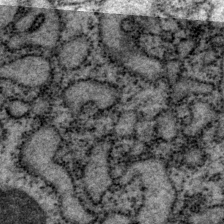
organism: P. pacificus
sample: Pharynx